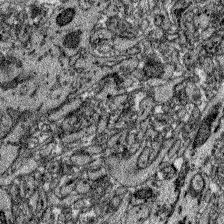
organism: Zebrafish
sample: Larval olfactory bulb